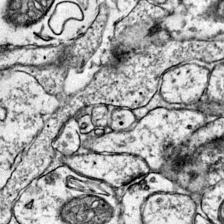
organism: Mouse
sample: Primary visual cortex